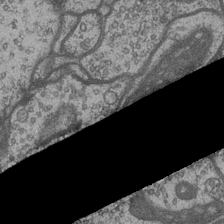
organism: Drosophila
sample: Optic medulla